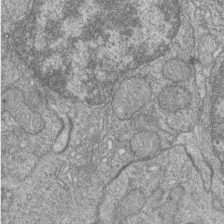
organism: Zebrafish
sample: Cilia; retinal pigment epithelium